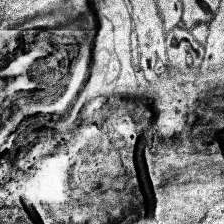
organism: Human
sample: Temporal Lobe